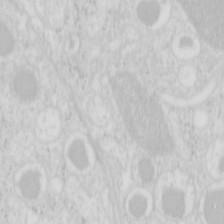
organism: Mouse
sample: Pancreas